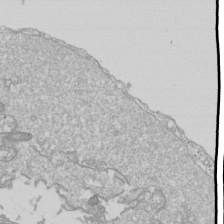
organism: Drosophila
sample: Cell division; meiosis; drosophila spermatocytes